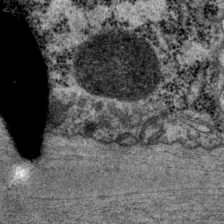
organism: P. pacificus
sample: Pharynx